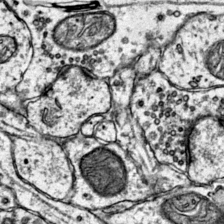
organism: Mouse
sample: Primary visual cortex